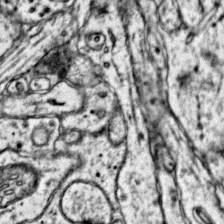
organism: Mouse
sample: Primary visual cortex